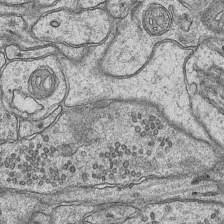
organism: Mouse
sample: CA1 Hippocampus